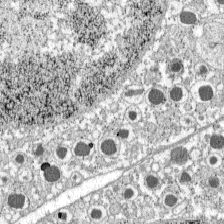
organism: C57BL Mouse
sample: Pancreatic islet